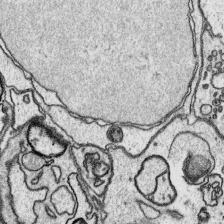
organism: Platynereis dumerilii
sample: Parapodia